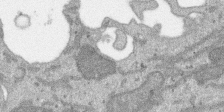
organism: Human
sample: Lung epithelial cells infected with SARS-CoV-2